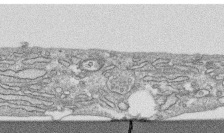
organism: Human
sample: CRL-1474